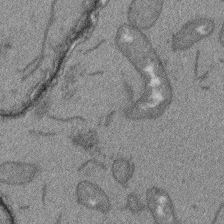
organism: Arabidopsis thaliana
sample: Root tip